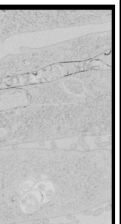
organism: Human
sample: Mitochondria in HCT116 cells